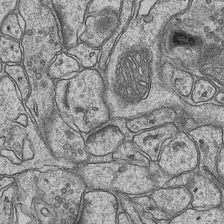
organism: Mouse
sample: CA1 Hippocampus